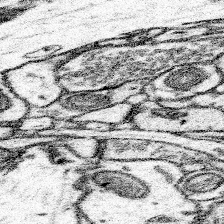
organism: Mouse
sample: Somatosensory cortex neuropil